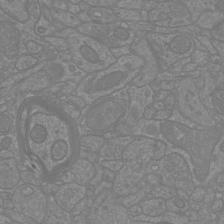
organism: Mouse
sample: Cortical neurons